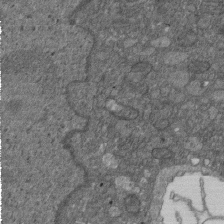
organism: Drosophila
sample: Nephrocyte